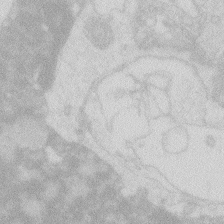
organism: Zebrafish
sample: Macrophage